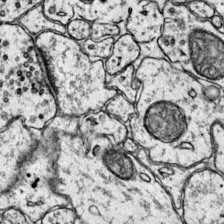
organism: Mouse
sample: Primary visual cortex